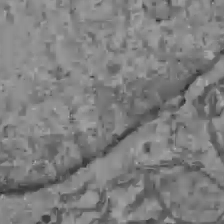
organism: C57BL Mouse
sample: Liver